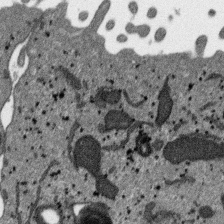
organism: Human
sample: Lung epithelial cells, uninfected (mock) control